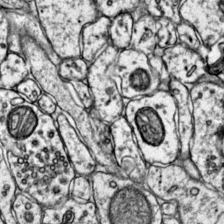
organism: Mouse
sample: Primary visual cortex